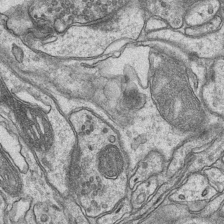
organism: Mouse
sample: CA1 Hippocampus